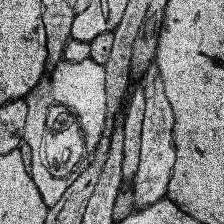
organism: Human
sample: Temporal Lobe